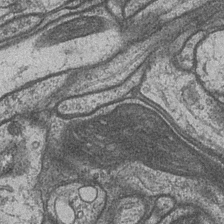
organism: Drosophila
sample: Optic medulla